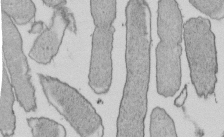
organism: E. coli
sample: Bacterial nucleoid